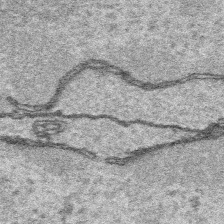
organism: Platynereis dumerilii